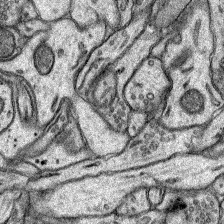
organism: Rat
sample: Hippocampus